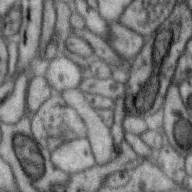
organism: Zebra finch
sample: Brain